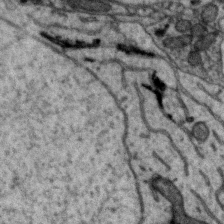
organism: Zebra finch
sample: Brain